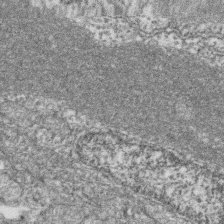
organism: Zebrafish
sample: Cilia; retinal pigment epithelium